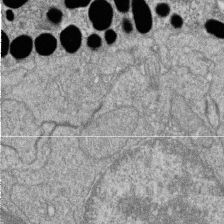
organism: Zebrafish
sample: Cilia; retinal pigment epithelium